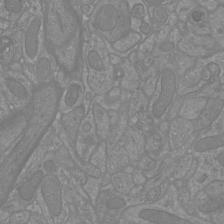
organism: Mouse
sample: Cortical neurons